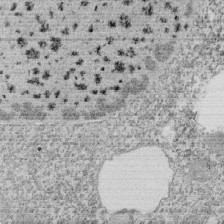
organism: Tetrahymena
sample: Cilia in tetrahymena